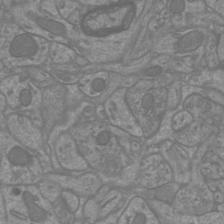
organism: Mouse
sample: Cortical neurons